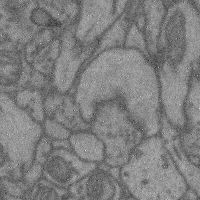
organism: Mouse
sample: Cerebral cortex